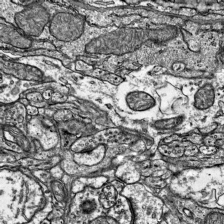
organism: Mouse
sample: Visual Cortex